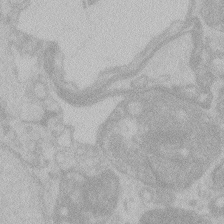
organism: Zebrafish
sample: Macrophage infected with Toxoplasma gondii